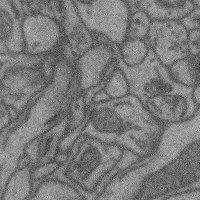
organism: Mouse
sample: Cerebral cortex